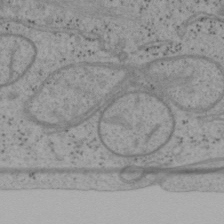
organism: Human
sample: HeLa cells